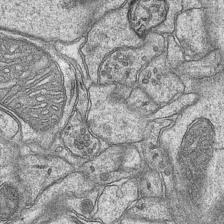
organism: Mouse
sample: CA1 Hippocampus